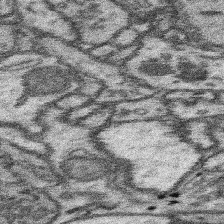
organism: Mouse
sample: Somatosensory cortex neuropil